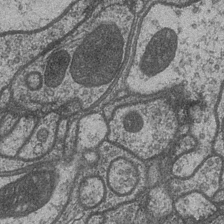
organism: Drosophila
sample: Optic medulla